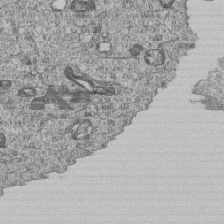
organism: Human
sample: MDA-MB-231 cells